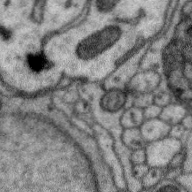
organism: Zebra finch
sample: Brain